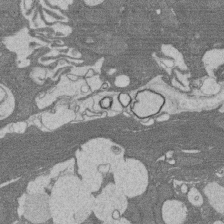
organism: Rat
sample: Salivary granule